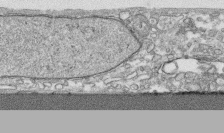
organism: Human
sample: CRL-1474